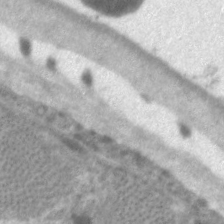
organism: C. elegans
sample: Pharynx